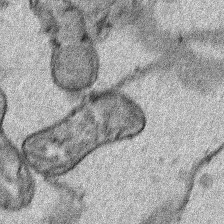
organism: Human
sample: Mitochondria in HCT116 cells